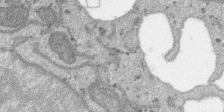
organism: Human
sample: Lung epithelial cells infected with SARS-CoV-2